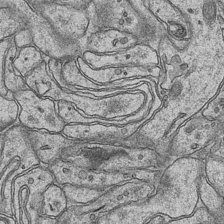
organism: Mouse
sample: CA1 Hippocampus